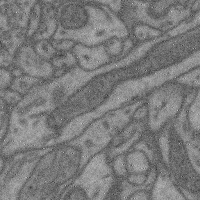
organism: Mouse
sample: Cerebral cortex